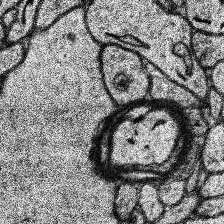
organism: Human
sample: Temporal Lobe